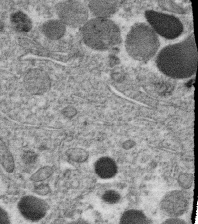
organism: C. elegans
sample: C. elegans oocyte; sperm cells